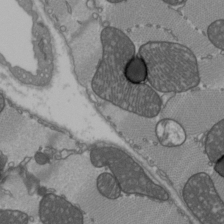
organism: C57BL Mouse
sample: Heart